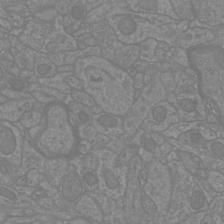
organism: Mouse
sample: Cortical neurons